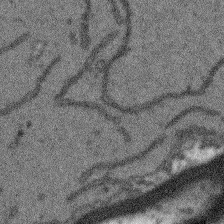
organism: Arabidopsis thaliana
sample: Root tip